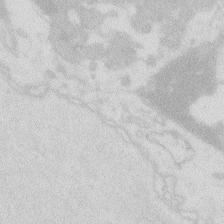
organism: Zebrafish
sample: Macrophage